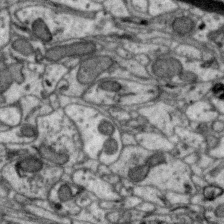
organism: Zebra finch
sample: Brain